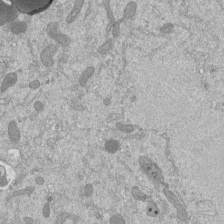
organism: Mouse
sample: ED-1 cell nuclei; centrioles